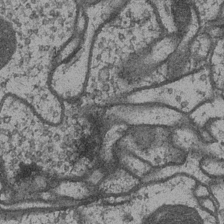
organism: Drosophila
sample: Optic medulla